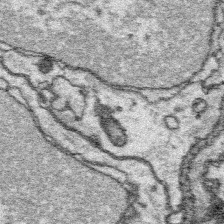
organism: Platynereis dumerilii